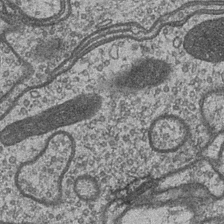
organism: Drosophila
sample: Optic medulla